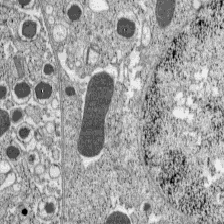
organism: C57BL Mouse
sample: Pancreatic islet